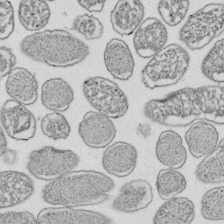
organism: E. coli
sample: Bacterial nucleoid